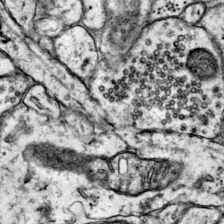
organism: Mouse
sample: Primary visual cortex